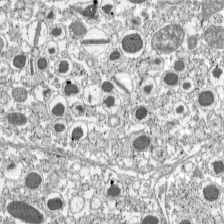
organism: C57BL Mouse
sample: Pancreatic islet